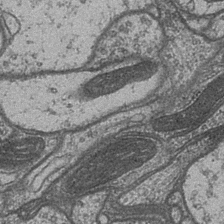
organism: Drosophila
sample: Optic medulla